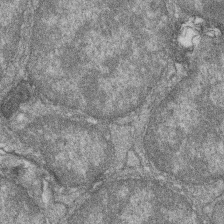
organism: Zebrafish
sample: Cilia; retinal pigment epithelium